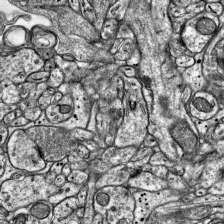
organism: Mouse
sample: Visual Cortex